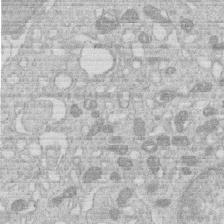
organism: Human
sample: Macrophage cells